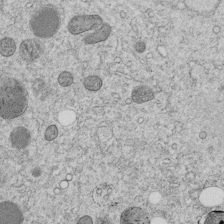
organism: C. elegans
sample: C. elegans embryo early stage